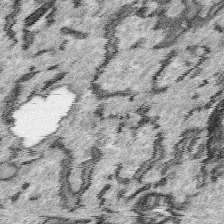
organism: Human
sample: HeLa cells